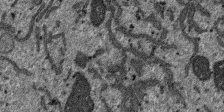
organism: Human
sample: Lung epithelial cells infected with SARS-CoV-2